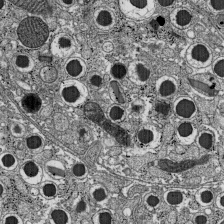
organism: C57BL Mouse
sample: Pancreatic islet